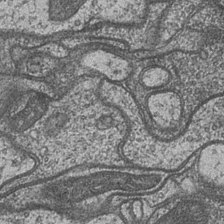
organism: Drosophila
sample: Optic medulla